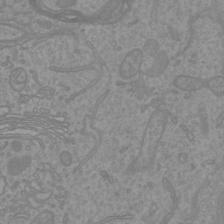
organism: Mouse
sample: Cortical neurons